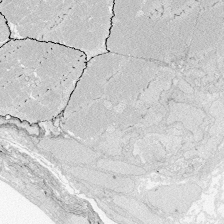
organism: Zebrafish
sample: Whole-Brain